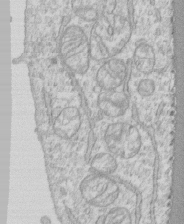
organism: Human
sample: CRL-1474